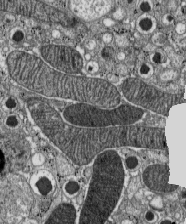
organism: C57BL Mouse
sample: Pancreatic islet